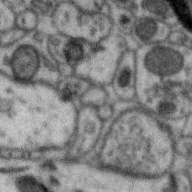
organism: Zebra finch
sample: Brain